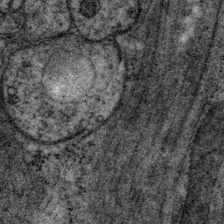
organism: P. pacificus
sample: Pharynx